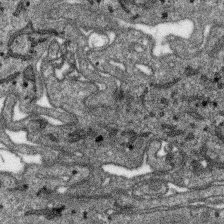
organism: Human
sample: Lung epithelial cells infected with SARS-CoV-2